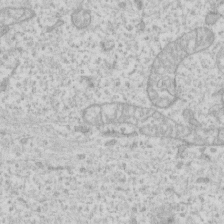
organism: Human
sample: Fibroblast cells